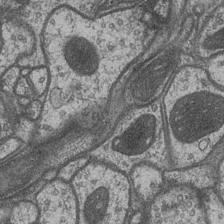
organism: Drosophila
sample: Optic medulla